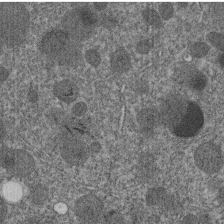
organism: C. elegans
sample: C. elegans embryo early stage